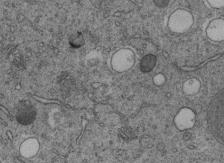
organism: C. elegans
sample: C. elegans embryo early stage